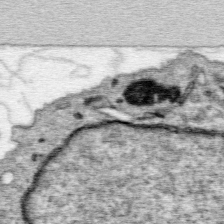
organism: Human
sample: HeLa cells